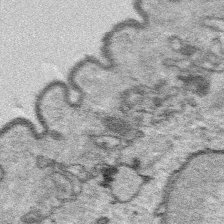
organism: Platynereis dumerilii